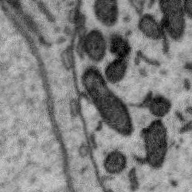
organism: Zebra finch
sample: Brain